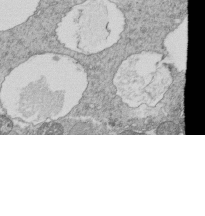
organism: Tetrahymena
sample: Cilia in tetrahymena